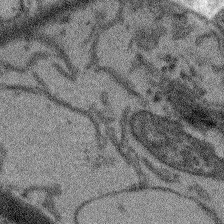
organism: Arabidopsis thaliana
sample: Root tip